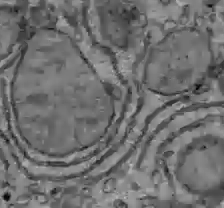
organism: C57BL Mouse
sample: Liver